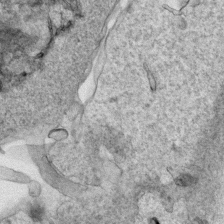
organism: Human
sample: Mitochondria in HCT116 cells